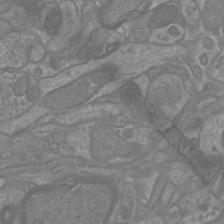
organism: Mouse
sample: Cortical neurons